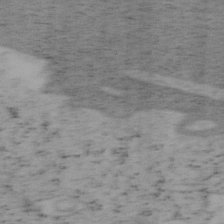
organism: Mouse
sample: OT-I killer T cells with ID8 ovarian cancer cells